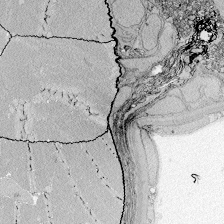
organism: Zebrafish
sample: Whole-Brain